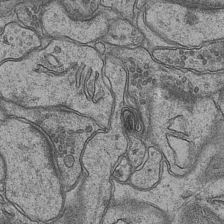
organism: Mouse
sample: CA1 Hippocampus